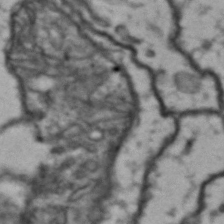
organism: Drosophila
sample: Brain